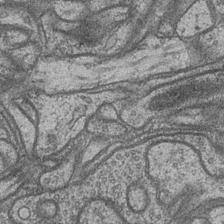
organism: Drosophila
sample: Optic medulla